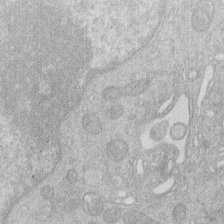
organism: Human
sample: Macrophage cells